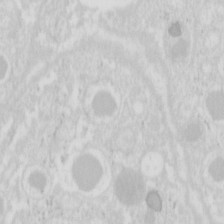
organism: Mouse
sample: Pancreas